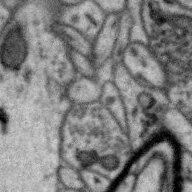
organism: Zebra finch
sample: Brain